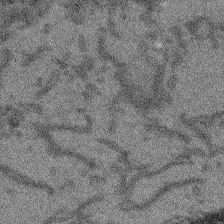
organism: Arabidopsis thaliana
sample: Root tip